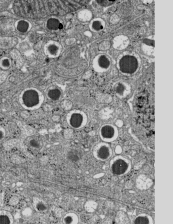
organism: C57BL Mouse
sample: Pancreatic islet